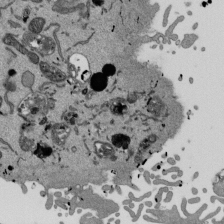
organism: Mouse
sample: ED-1 cell nuclei; centrioles